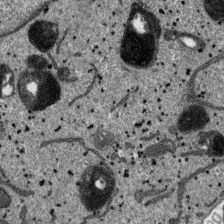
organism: Human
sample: Lung epithelial cells, uninfected (mock) control